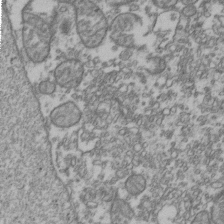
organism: Human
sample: Activated Jurkat CD4+ T cells